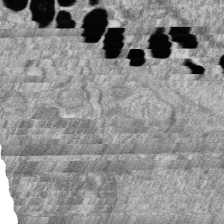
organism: Zebrafish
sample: Cilia; retinal pigment epithelium